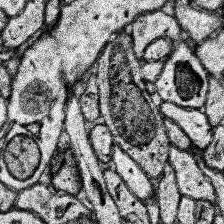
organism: Human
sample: Temporal Lobe